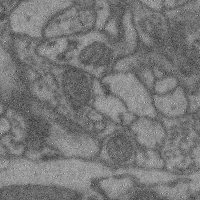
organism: Mouse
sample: Cerebral cortex